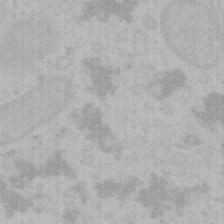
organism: Mouse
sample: Choroid plexus